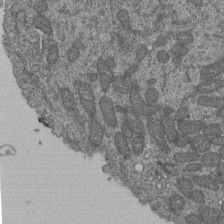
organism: Human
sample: Retinal organoid Rod and Cone cells